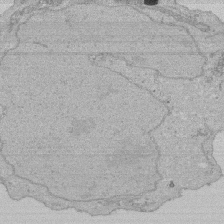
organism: Human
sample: Activated Jurkat CD4+ T cells